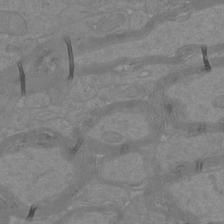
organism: Mouse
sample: Cortical neurons